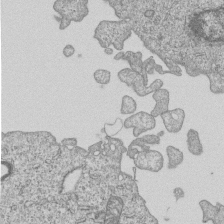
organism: Human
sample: MDA-MB-231 cells